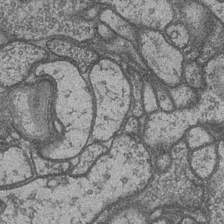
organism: Drosophila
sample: Optic medulla